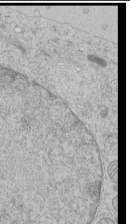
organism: Human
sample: Mitochondria in HCT116 cells